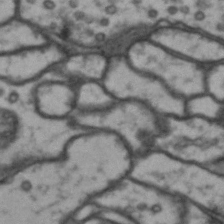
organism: Drosophila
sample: Brain